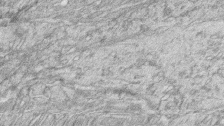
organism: Zebrafish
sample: synaptic ribbons in rod cells and cone cells